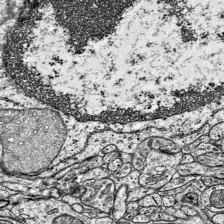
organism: Mouse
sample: Visual Cortex